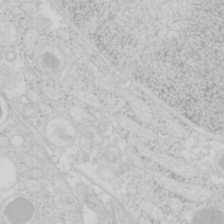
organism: Mouse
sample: Pancreas